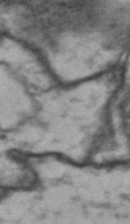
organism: Drosophila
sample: Brain